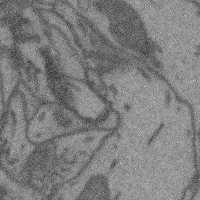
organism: Mouse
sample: Cerebral cortex